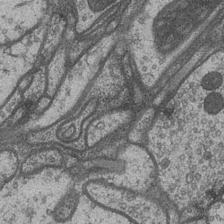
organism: Drosophila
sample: Optic medulla